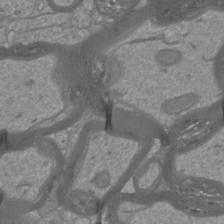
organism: Mouse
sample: Cortical neurons